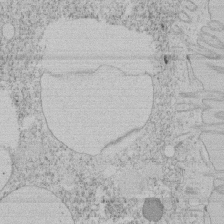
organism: Tetrahymena